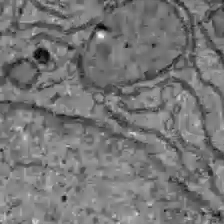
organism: C57BL Mouse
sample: Liver